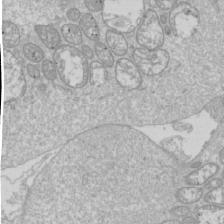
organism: Drosophila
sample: Cell division; meiosis; drosophila spermatocytes